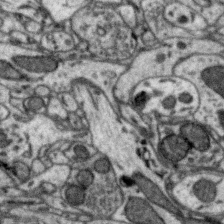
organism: Zebra finch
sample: Brain